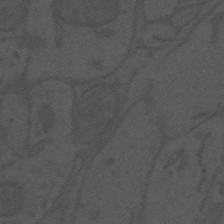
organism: Mouse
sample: Suprachiasmatic nucleus